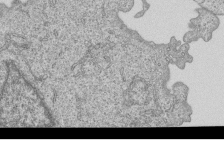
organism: Human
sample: MDA-MB-231 cells